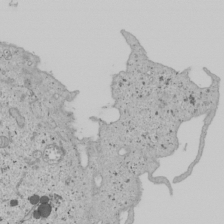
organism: Human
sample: Mitochondria in U2OS cells